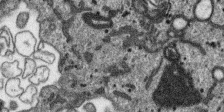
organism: Human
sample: Lung epithelial cells infected with SARS-CoV-2